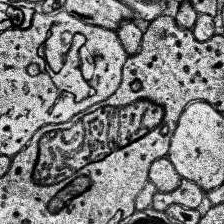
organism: Human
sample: Temporal Lobe